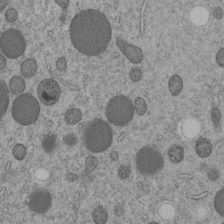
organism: C. elegans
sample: C. elegans embryo early stage